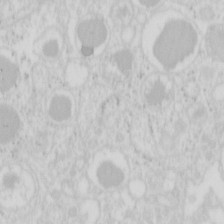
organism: Mouse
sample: Pancreas